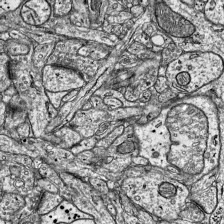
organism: Mouse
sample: Visual Cortex